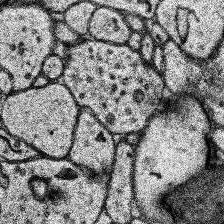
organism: Human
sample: Temporal Lobe